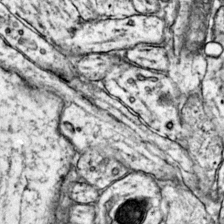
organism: Mouse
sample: Primary visual cortex